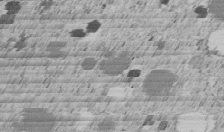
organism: C. elegans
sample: C. elegans embryo early stage